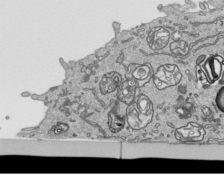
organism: Human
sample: Mitochondria in HCT116 cells